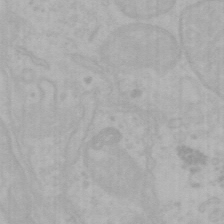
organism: Mouse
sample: Choroid plexus